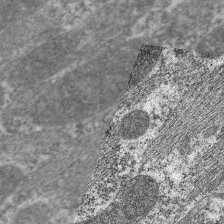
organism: C. elegans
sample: Pharynx